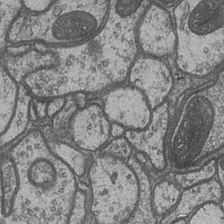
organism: Drosophila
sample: Optic medulla